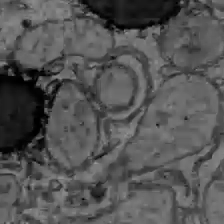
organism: C57BL Mouse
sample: Liver